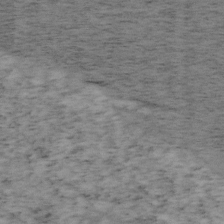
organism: Mouse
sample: OT-I killer T cells with ID8 ovarian cancer cells